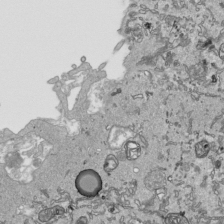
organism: Human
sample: Mitochondria in HCT116 cells